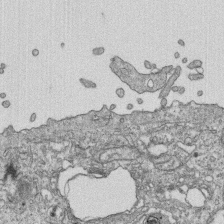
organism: Human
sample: HeLa cell HIV synapse